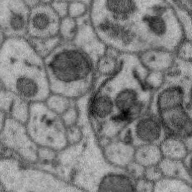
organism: Zebra finch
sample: Brain